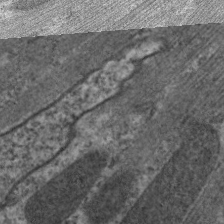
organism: C. elegans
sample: Pharynx